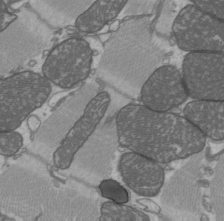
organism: C57BL Mouse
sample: Heart